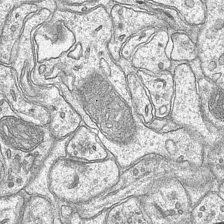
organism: Mouse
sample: CA1 Hippocampus